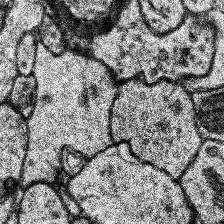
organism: Human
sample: Temporal Lobe